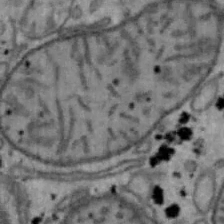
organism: Mouse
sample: Liver